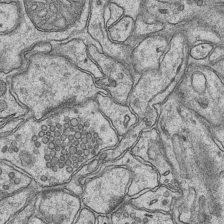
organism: Mouse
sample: CA1 Hippocampus